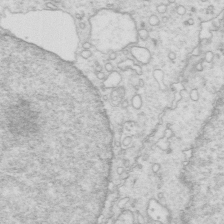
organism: Mouse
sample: Multiciliated cells